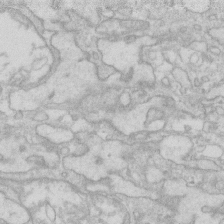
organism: Human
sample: Fibroblast cells